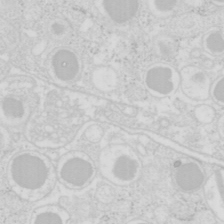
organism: Mouse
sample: Pancreas